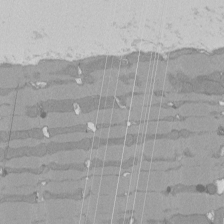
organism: Rat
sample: Left ventricle